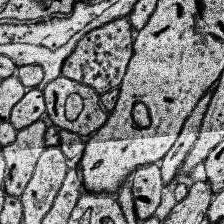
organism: Human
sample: Temporal Lobe